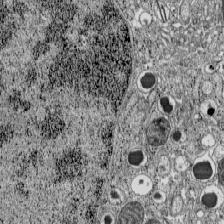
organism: C57BL Mouse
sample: Pancreatic islet